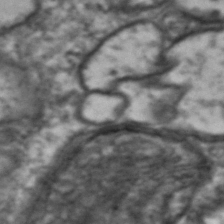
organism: Drosophila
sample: Brain